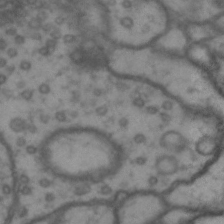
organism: Drosophila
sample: Brain